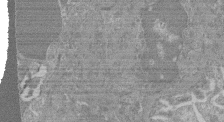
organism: Mouse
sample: Glomerulus